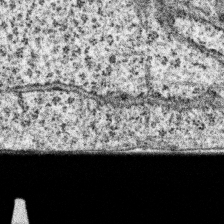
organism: Human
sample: HeLa cells